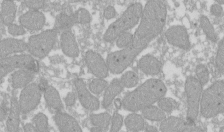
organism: Xenopus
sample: Cilia; centrioles in frog embryo cells